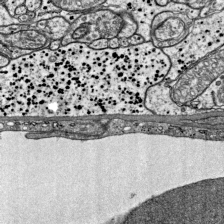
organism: Mouse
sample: Visual Cortex